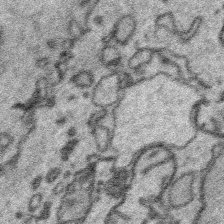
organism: Platynereis dumerilii